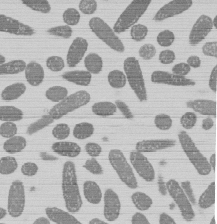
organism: E. coli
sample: Bacterial nucleoid